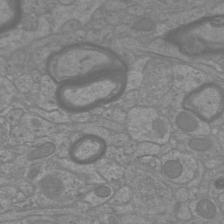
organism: Mouse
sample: Cortical neurons